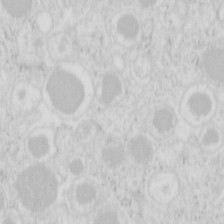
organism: Mouse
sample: Pancreas